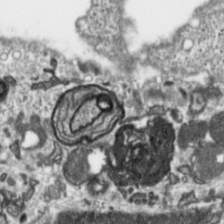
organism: Toxoplasma gondii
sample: Parasites in a vacuole inside a host cell